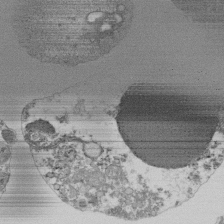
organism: Mouse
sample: Activated Pmel transgenic CD8+ T Cells